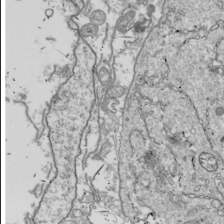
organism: Drosophila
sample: Cell division; meiosis; drosophila spermatocytes